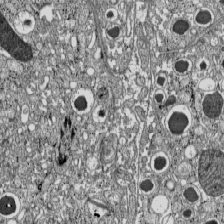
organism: C57BL Mouse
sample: Pancreatic islet